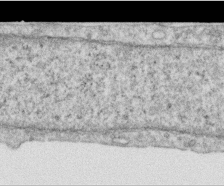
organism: Human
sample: Centriole in RPE cells